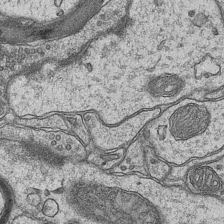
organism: Mouse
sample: CA1 Hippocampus